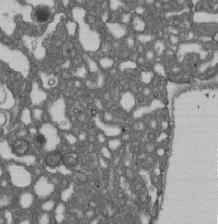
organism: Drosophila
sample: Nephrocyte